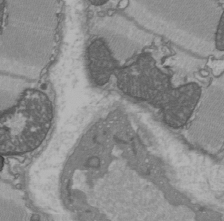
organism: C57BL Mouse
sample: Heart